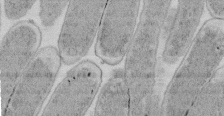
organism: E. coli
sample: Bacterial nucleoid